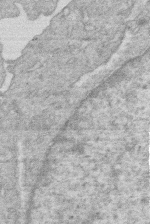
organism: Human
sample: Macrophage cells